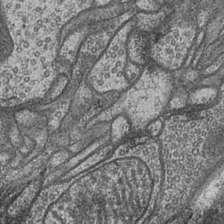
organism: Drosophila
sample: Optic medulla